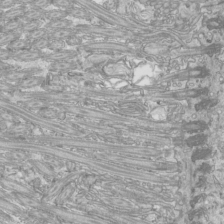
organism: Mouse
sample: Cilia; mouse epididymis